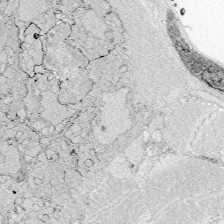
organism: Zebrafish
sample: Whole-Brain